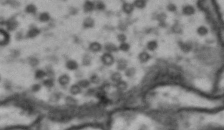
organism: Drosophila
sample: Brain